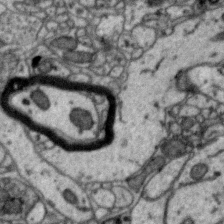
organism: Zebra finch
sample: Brain